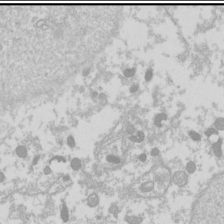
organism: Drosophila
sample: Cell division; meiosis; drosophila spermatocytes